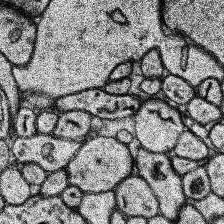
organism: Human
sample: Temporal Lobe